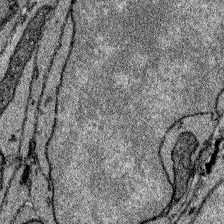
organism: Zebrafish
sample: Larval olfactory bulb